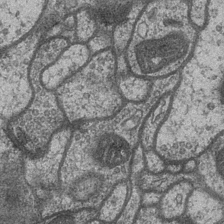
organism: Drosophila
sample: Optic medulla